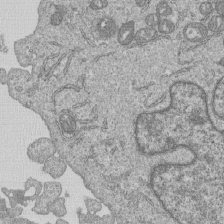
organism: Human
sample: MDA-MB-231 cells